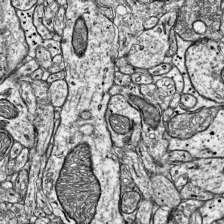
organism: Mouse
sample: Visual Cortex